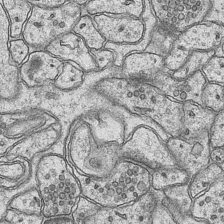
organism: Mouse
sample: CA1 Hippocampus